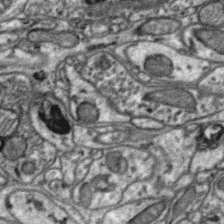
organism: Zebra finch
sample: Brain